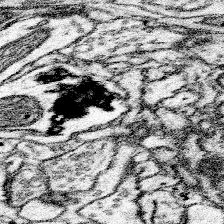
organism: Mouse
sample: Somatosensory cortex neuropil